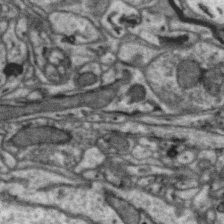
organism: Zebra finch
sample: Brain